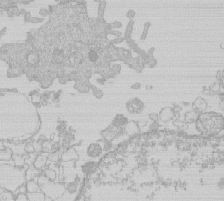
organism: Human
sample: Macrophage cells